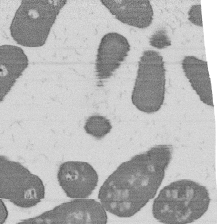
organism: B. subtilis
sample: Bacterial spore